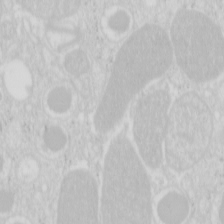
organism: Mouse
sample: Pancreas